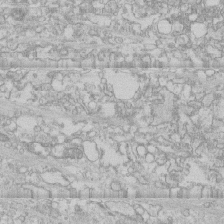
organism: Human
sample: CRL-1474